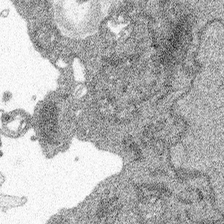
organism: Spongilla lacustris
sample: Multiple